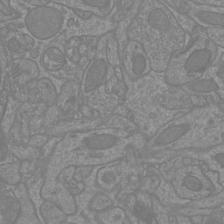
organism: Mouse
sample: Cortical neurons